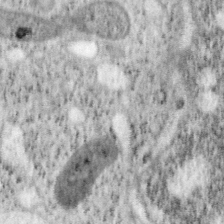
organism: Mouse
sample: OT-I killer T cells with ID8 ovarian cancer cells